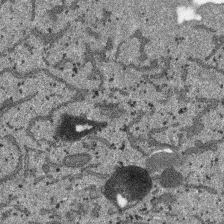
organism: Human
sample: Lung epithelial cells infected with SARS-CoV-2